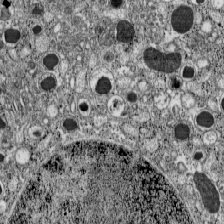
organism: C57BL Mouse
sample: Pancreatic islet